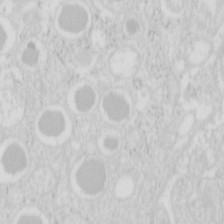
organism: Mouse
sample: Pancreas